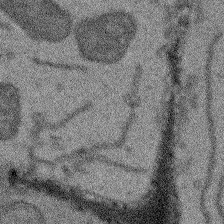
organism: Arabidopsis thaliana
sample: Root tip